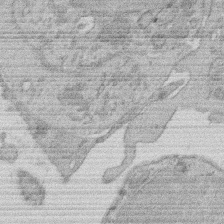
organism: Rat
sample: Salivary granule